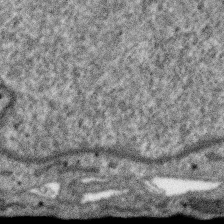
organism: Human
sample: Lung epithelial cells infected with SARS-CoV-2